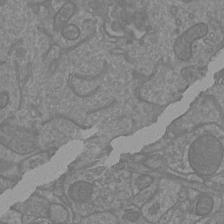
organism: Mouse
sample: Cortical neurons